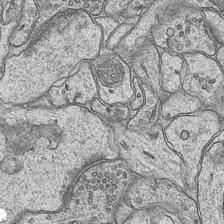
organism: Mouse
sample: CA1 Hippocampus